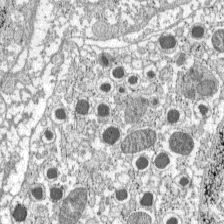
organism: C57BL Mouse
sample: Pancreatic islet